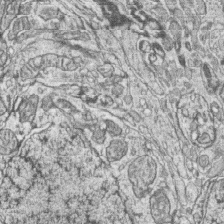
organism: Zebrafish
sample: synaptic ribbons in rod cells and cone cells